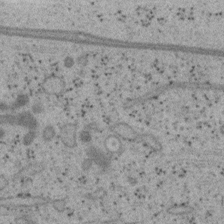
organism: Human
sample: HeLa cells